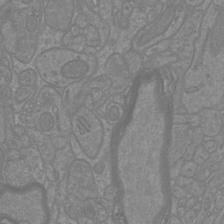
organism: Mouse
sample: Cortical neurons